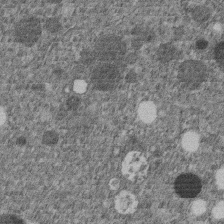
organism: C. elegans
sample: C. elegans embryo early stage